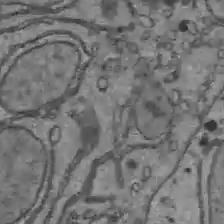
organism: C57BL Mouse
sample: Liver